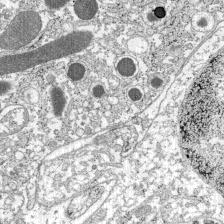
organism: C57BL Mouse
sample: Pancreatic islet